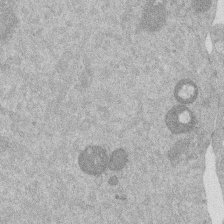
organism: Mouse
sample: Dividing mouse embryo 1 cell stage